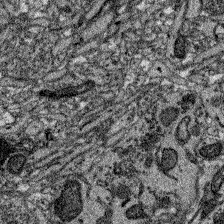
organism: Zebrafish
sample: Larval olfactory bulb